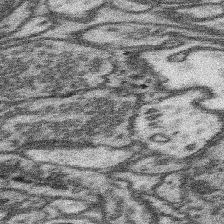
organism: Mouse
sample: Somatosensory cortex neuropil